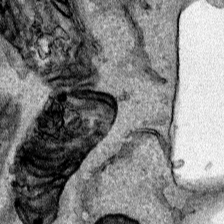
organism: Human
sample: Mitochondria in HCT116 cells